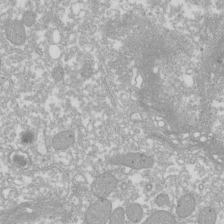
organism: Xenopus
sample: Cilia; centrioles in frog embryo cells